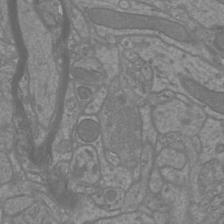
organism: Mouse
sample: Cortical neurons